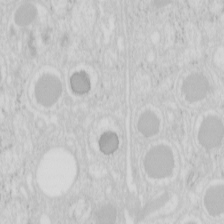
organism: Mouse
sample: Pancreas